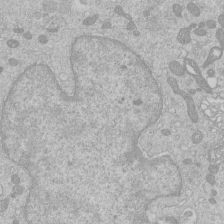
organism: Human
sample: Macrophage cells